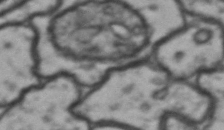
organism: Drosophila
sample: Brain